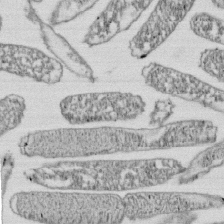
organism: E. coli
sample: Bacterial nucleoid